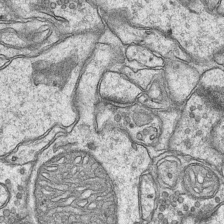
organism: Mouse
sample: CA1 Hippocampus